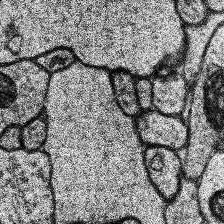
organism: Human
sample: Temporal Lobe